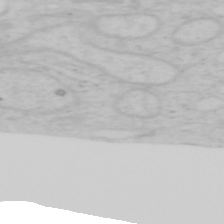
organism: Mouse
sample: OT-I killer T cells with ID8 ovarian cancer cells